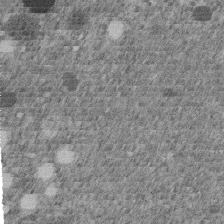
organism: C. elegans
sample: C. elegans embryo early stage